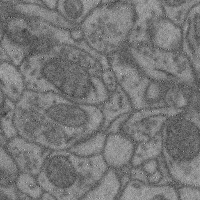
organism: Mouse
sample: Cerebral cortex